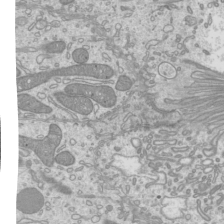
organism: Mouse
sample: Cilia; mouse epididymis